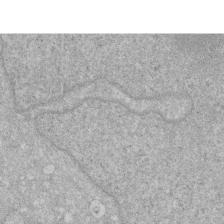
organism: Human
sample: HIV infected U937 cells